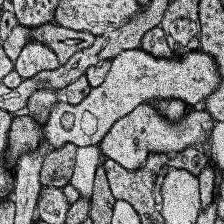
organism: Human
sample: Temporal Lobe